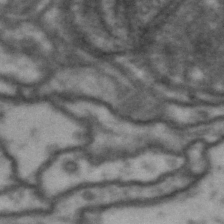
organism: Drosophila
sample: Brain